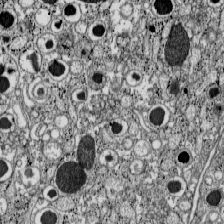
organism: C57BL Mouse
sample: Pancreatic islet